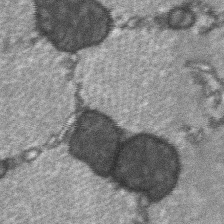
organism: C57BL Mouse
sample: Soleus